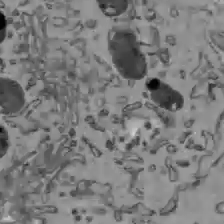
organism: C57BL Mouse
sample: Liver